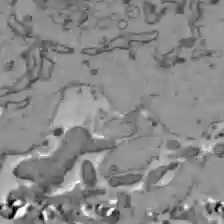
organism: C57BL Mouse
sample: Liver